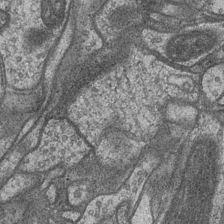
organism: Drosophila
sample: Optic medulla